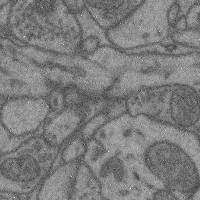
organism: Mouse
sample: Cerebral cortex